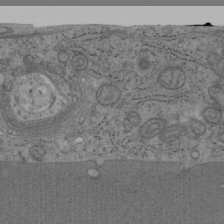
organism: Human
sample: HeLa cells